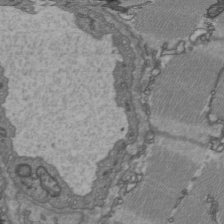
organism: C57BL Mouse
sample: Heart